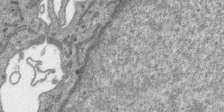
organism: Human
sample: Lung epithelial cells infected with SARS-CoV-2